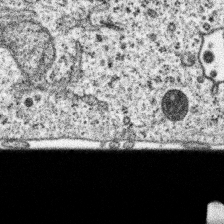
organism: Human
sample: HeLa cells